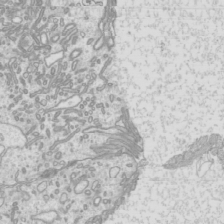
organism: Mouse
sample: Cilia; mouse epididymis